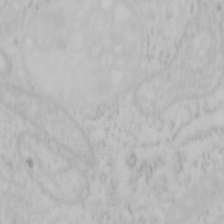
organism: Mouse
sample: OT-I killer T cells with ID8 ovarian cancer cells